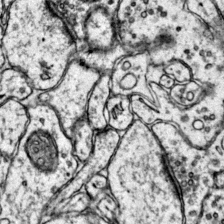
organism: Mouse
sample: Primary visual cortex